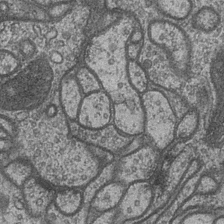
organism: Drosophila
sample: Optic medulla